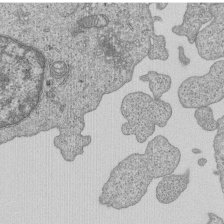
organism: Human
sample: MDA-MB-231 cells